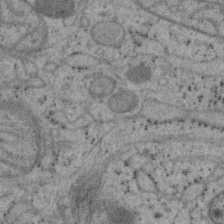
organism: Human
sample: HeLa cells